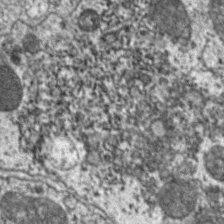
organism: C. elegans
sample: Pharynx